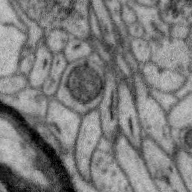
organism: Zebra finch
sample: Brain